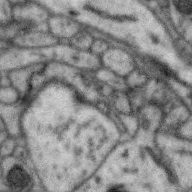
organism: Zebra finch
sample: Brain